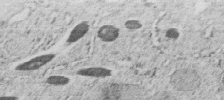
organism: C. elegans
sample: C. elegans embryo early stage